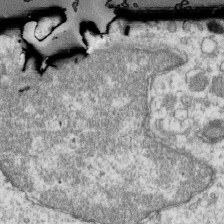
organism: Mouse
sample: Activated OT-1 CD8+ T cells